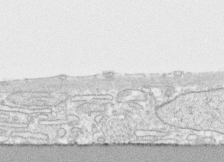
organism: Human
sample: CRL-1474